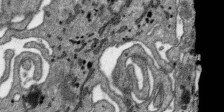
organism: Human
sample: Lung epithelial cells, uninfected (mock) control